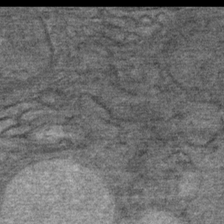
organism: Mouse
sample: Mouse Salivary gland